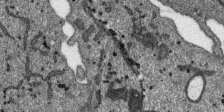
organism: Human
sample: Lung epithelial cells infected with SARS-CoV-2